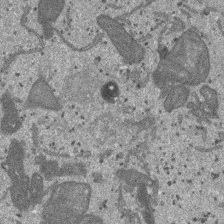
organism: Human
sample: Lung epithelial cells infected with SARS-CoV-2